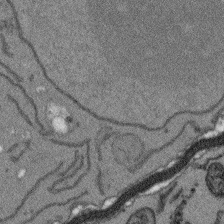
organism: Arabidopsis thaliana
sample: Root tip